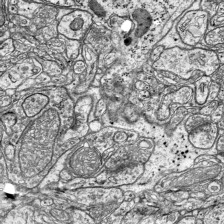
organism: Mouse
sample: Visual Cortex